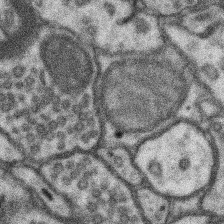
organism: Mouse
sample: Somatosensory cortex neuropil